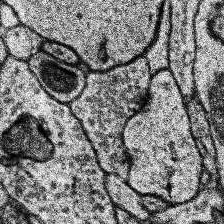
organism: Human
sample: Temporal Lobe